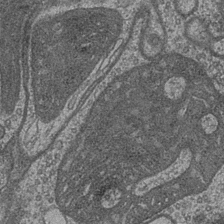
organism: Drosophila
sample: Optic medulla